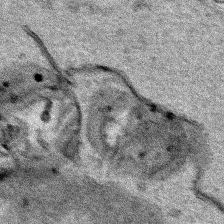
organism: Human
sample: Mitochondria in HCT116 cells